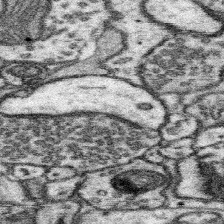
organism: Mouse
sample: Somatosensory cortex neuropil